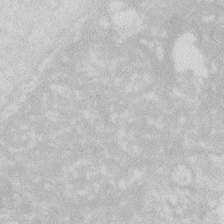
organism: Zebrafish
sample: Macrophage